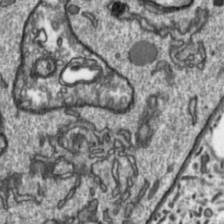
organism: Toxoplasma gondii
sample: Parasites in a vacuole inside a host cell